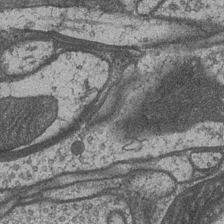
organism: Drosophila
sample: Optic medulla